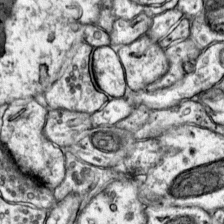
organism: Mouse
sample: Primary visual cortex